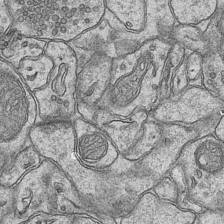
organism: Mouse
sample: CA1 Hippocampus